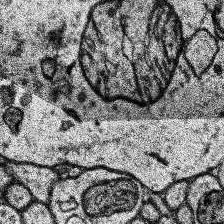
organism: Human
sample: Temporal Lobe